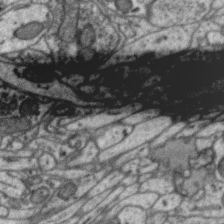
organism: Zebra finch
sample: Brain